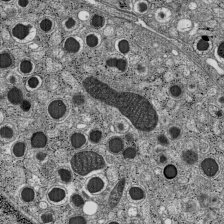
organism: C57BL Mouse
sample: Pancreatic islet